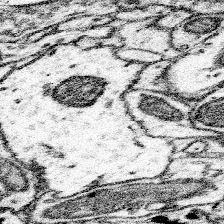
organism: Mouse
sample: Somatosensory cortex neuropil